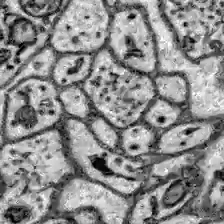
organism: Zebrafish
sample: Brain